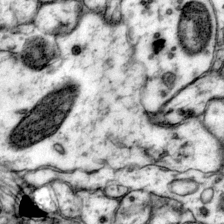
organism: Mouse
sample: Primary visual cortex